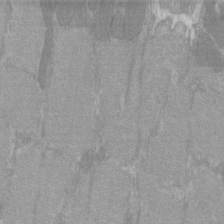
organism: C57BL Mouse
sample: Tibialis anterior muscle cell